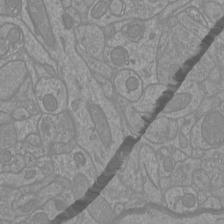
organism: Mouse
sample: Cortical neurons